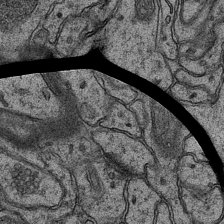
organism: Mouse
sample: CA1 Hippocampus